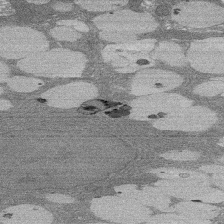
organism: Rat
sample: Salivary granule